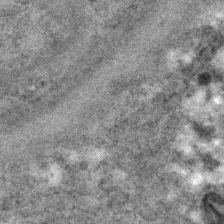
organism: C. elegans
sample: C. elegans embryo